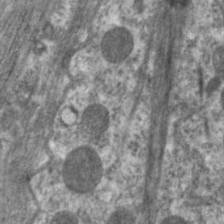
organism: C. elegans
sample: Pharynx